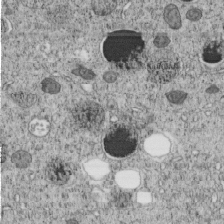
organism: C. elegans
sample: C. elegans embryo early stage